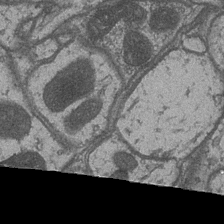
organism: Drosophila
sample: Optic medulla